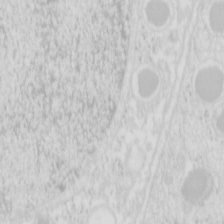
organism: Mouse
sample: Pancreas